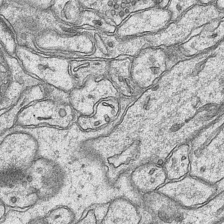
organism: Mouse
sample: CA1 Hippocampus